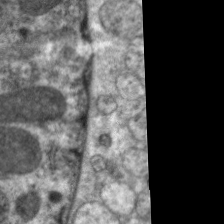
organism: C. elegans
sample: Pharynx